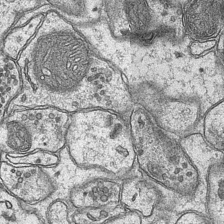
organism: Mouse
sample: CA1 Hippocampus